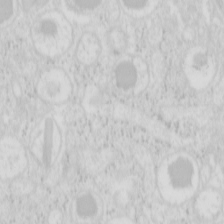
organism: Mouse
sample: Pancreas